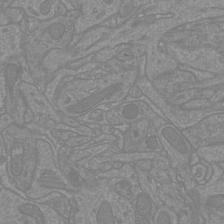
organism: Mouse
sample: Cortical neurons